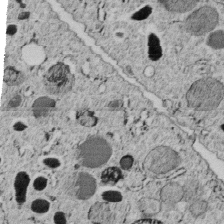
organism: C. elegans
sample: C. elegans embryo early stage